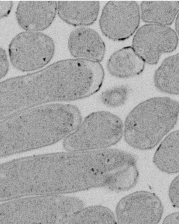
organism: E. coli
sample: Bacterial nucleoid